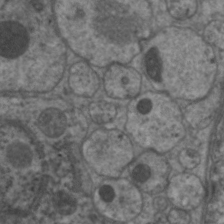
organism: C. elegans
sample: Pharynx